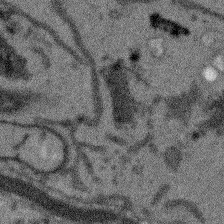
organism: Arabidopsis thaliana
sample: Root tip